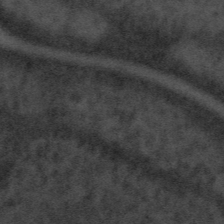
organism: Tuwongella immobilis